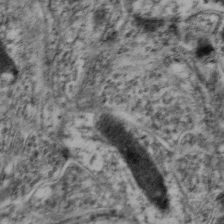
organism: Mouse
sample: Neocortex